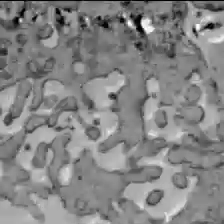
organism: C57BL Mouse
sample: Liver